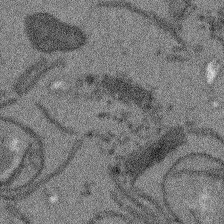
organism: Arabidopsis thaliana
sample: Root tip